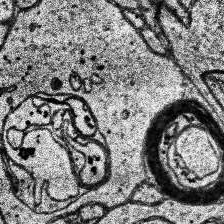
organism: Human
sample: Temporal Lobe